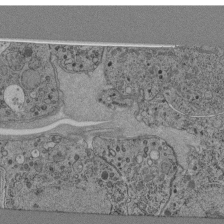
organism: C. elegans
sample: C. elegans pharynx